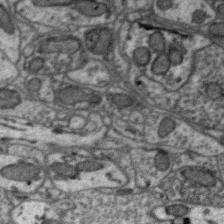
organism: Zebra finch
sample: Brain